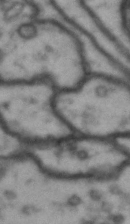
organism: Drosophila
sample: Brain